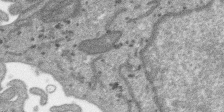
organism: Human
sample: Lung epithelial cells infected with SARS-CoV-2